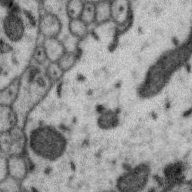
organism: Zebra finch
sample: Brain